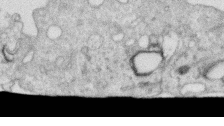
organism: Human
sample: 1205lu cells